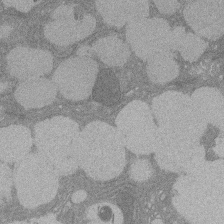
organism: Rat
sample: Salivary granule